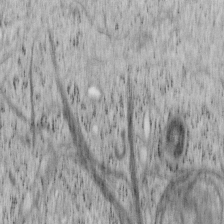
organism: Human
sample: HeLa cells